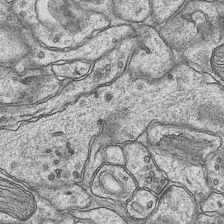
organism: Mouse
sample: CA1 Hippocampus